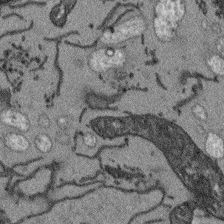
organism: Arabidopsis thaliana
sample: Root tip